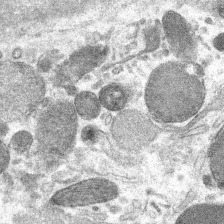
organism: Mouse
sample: Mouse hepatocytes